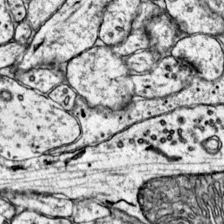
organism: Mouse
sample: Primary visual cortex